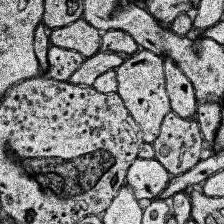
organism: Human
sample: Temporal Lobe